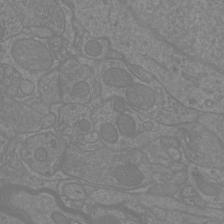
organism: Mouse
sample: Cortical neurons